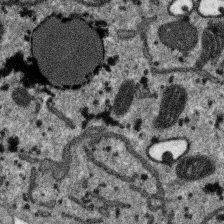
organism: Human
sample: Lung epithelial cells infected with SARS-CoV-2